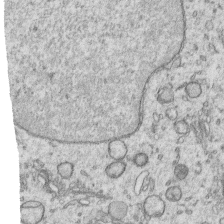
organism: Human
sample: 1205lu cells